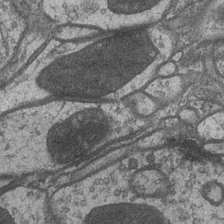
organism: Drosophila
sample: Optic medulla